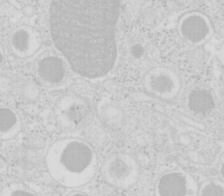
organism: Mouse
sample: Pancreas